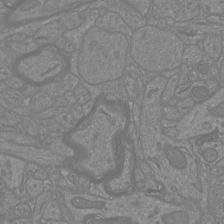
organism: Mouse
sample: Cortical neurons